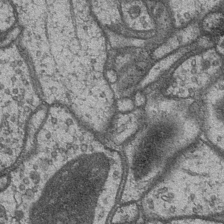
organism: Drosophila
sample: Optic medulla